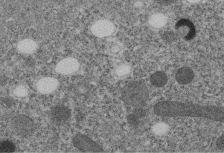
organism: C. elegans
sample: C. elegans embryo early stage